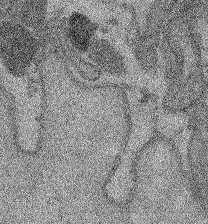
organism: Human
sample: HeLa cells